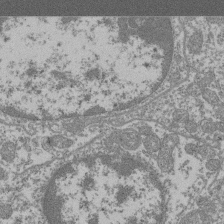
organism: Mouse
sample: Glomerulus